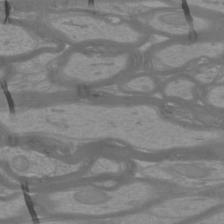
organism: Mouse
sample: Cortical neurons